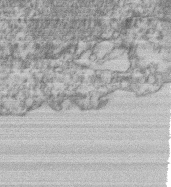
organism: Mouse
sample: T cell stromal cell synapse